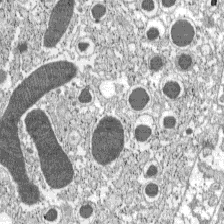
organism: C57BL Mouse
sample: Pancreatic islet